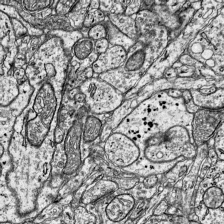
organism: Mouse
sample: Visual Cortex